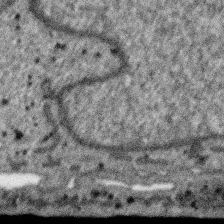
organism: Human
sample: Lung epithelial cells infected with SARS-CoV-2